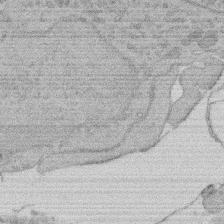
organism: Rat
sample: Salivary granule